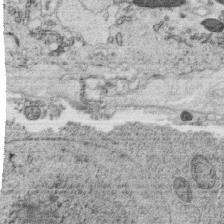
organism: C. elegans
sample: C. elegans oocyte; sperm cells